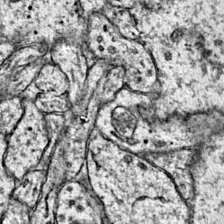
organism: Mouse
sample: Primary visual cortex